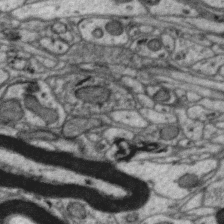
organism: Zebra finch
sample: Brain